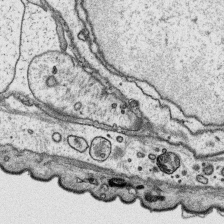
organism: Platynereis dumerilii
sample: Parapodia